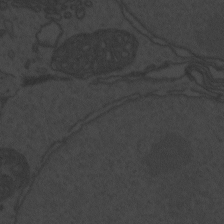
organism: Zebrafish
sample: Macrophage infected with Toxoplasma gondii